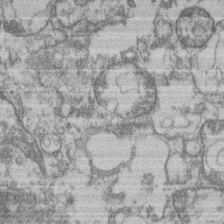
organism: Mouse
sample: T cell stromal cell synapse